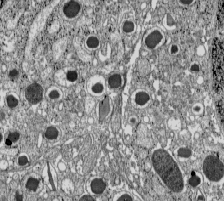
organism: C57BL Mouse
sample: Pancreatic islet